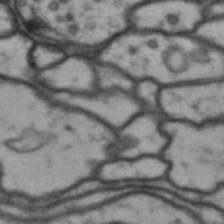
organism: Drosophila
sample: Brain